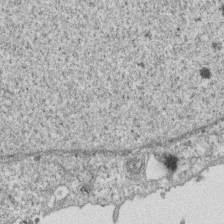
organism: Human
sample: HeLa cell HIV synapse